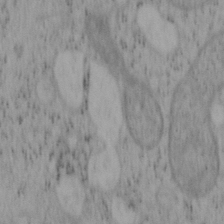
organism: Mouse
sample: OT-I killer T cells with ID8 ovarian cancer cells